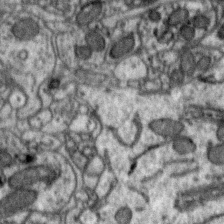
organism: Zebra finch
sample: Brain